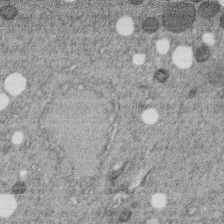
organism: C. elegans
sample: C. elegans embryo early stage